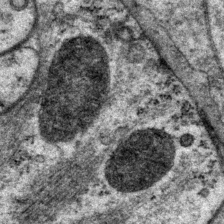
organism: P. pacificus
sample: Pharynx